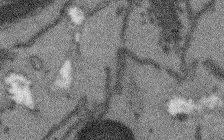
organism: Arabidopsis thaliana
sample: Root tip